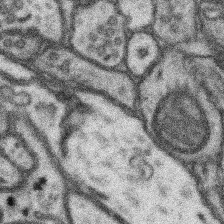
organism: Mouse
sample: Somatosensory cortex neuropil